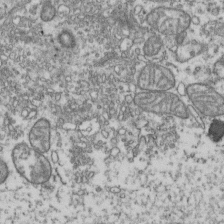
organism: Human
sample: Activated Jurkat CD4+ T cells